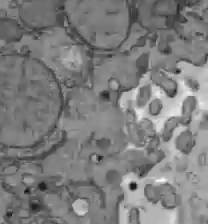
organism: C57BL Mouse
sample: Liver